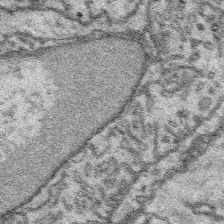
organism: Platynereis dumerilii